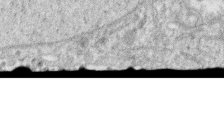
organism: Human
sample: HeLa cell HIV synapse